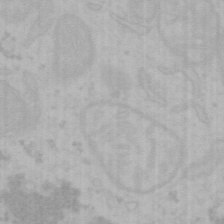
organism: Mouse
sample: Choroid plexus